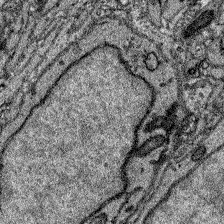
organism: Zebrafish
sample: Larval olfactory bulb